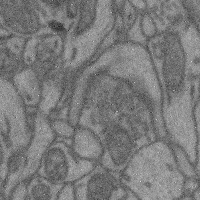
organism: Mouse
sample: Cerebral cortex